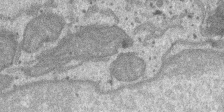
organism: Human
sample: Lung epithelial cells infected with SARS-CoV-2